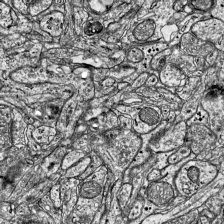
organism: Mouse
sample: Visual Cortex